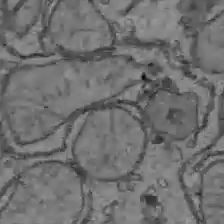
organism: C57BL Mouse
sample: Liver